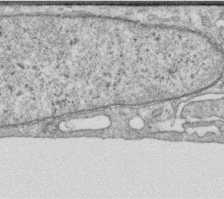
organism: Human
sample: Centriole in RPE cells